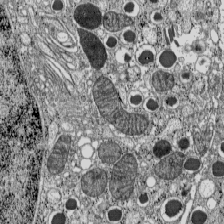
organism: C57BL Mouse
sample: Pancreatic islet